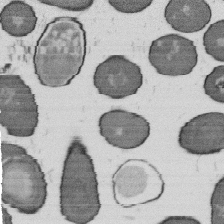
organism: B. subtilis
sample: Bacterial spore